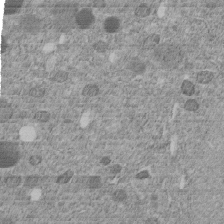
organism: C. elegans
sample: C. elegans embryo early stage